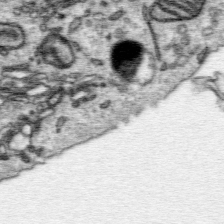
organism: Human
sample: HeLa cells